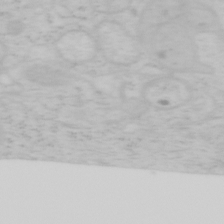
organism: Mouse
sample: OT-I killer T cells with ID8 ovarian cancer cells